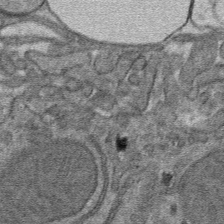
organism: Mouse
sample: Mouse hepatocytes